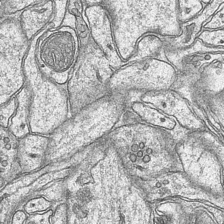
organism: Mouse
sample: CA1 Hippocampus